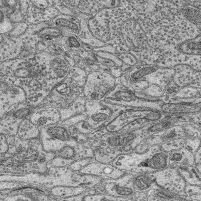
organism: Mouse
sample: Retina